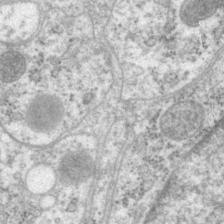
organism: P. pacificus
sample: Pharynx